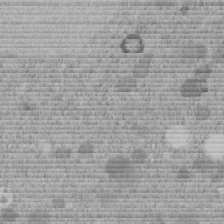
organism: C. elegans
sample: C. elegans embryo early stage